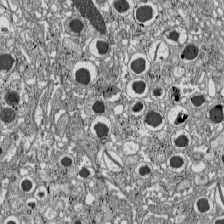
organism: C57BL Mouse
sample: Pancreatic islet